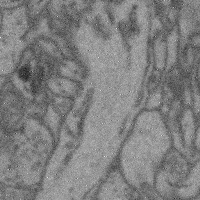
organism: Mouse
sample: Cerebral cortex